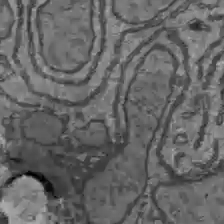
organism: C57BL Mouse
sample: Liver